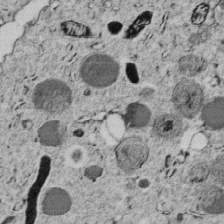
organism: C. elegans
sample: C. elegans embryo early stage